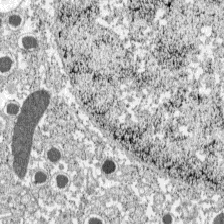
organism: C57BL Mouse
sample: Pancreatic islet